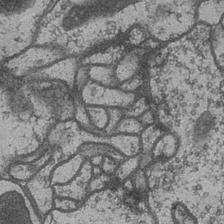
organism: Drosophila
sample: Optic medulla